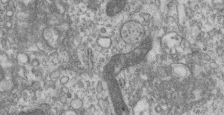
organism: Mouse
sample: Centriole in ependymal cells